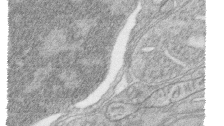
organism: Zebrafish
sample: synaptic ribbons in rod cells and cone cells